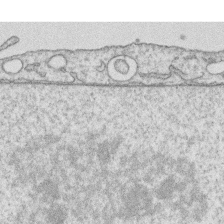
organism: Human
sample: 1205lu cells